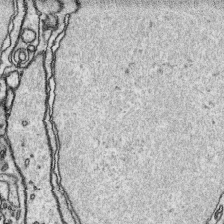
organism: Platynereis dumerilii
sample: Parapodia